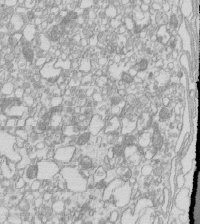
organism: Mouse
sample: Macrophages